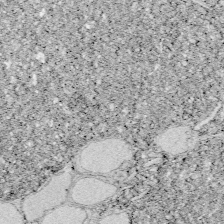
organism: Zebrafish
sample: Whole-Brain